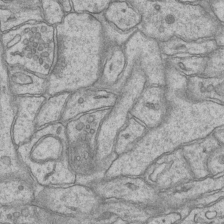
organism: Mouse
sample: CA1 Hippocampus